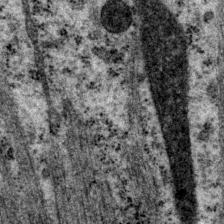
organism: P. pacificus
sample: Pharynx